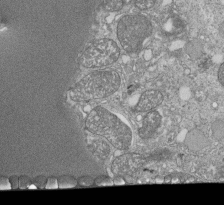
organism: Tetrahymena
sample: Cilia in tetrahymena